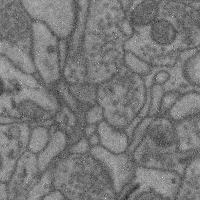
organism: Mouse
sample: Cerebral cortex